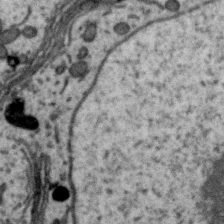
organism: Zebra finch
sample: Brain